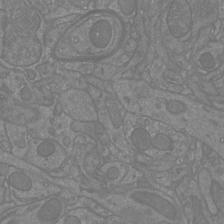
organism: Mouse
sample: Cortical neurons